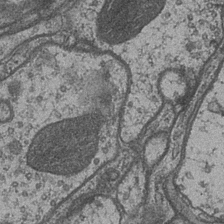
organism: Drosophila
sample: Optic medulla